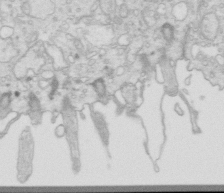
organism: Mouse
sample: Multiciliated cells